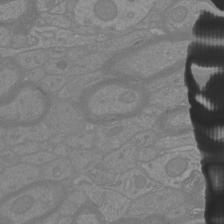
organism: Mouse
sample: Cortical neurons